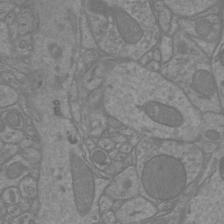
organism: Mouse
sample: Cortical neurons